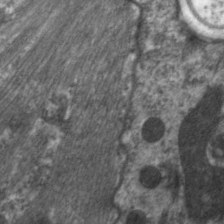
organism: C. elegans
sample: Pharynx